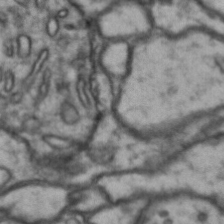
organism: Drosophila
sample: Brain